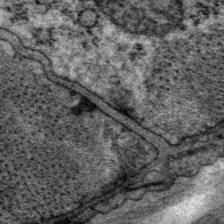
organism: P. pacificus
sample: Pharynx